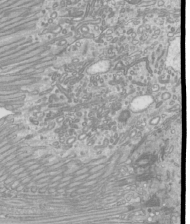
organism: Mouse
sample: Cilia; mouse epididymis